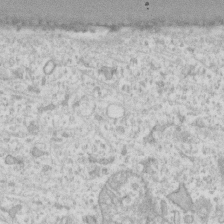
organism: Human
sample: Fibroblast cells